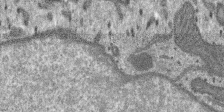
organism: Human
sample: Lung epithelial cells infected with SARS-CoV-2